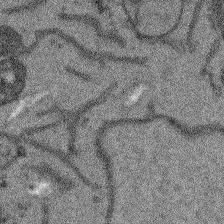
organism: Arabidopsis thaliana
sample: Root tip